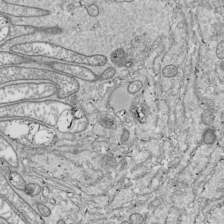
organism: Drosophila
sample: Cell division; meiosis; drosophila spermatocytes